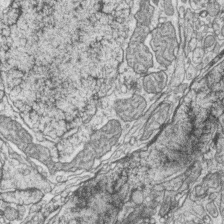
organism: Zebrafish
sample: synaptic ribbons in rod cells and cone cells